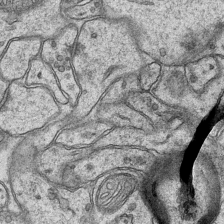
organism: Mouse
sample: CA1 Hippocampus